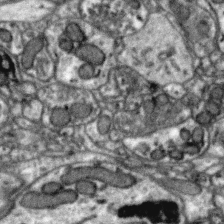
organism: Zebra finch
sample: Brain